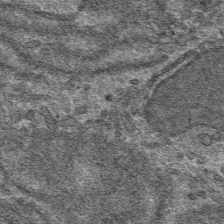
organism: Mouse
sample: Mouse hepatocytes